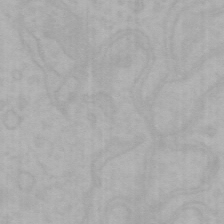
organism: Mouse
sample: Choroid plexus